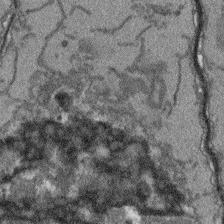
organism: Arabidopsis thaliana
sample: Root tip